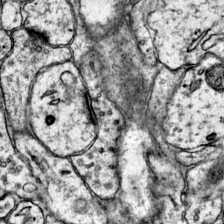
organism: Mouse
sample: Primary visual cortex